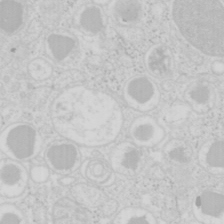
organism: Mouse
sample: Pancreas